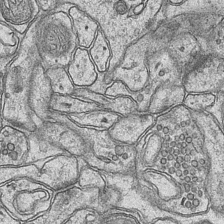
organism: Mouse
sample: CA1 Hippocampus